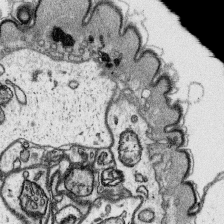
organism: Platynereis dumerilii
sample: Parapodia